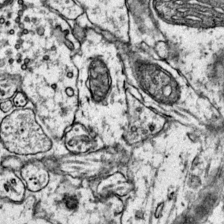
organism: Mouse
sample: Primary visual cortex